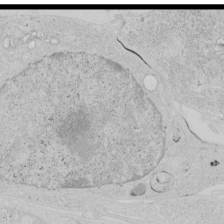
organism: Human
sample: Mitochondria in HCT116 cells